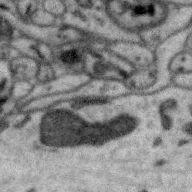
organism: Zebra finch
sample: Brain